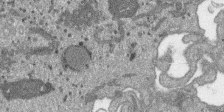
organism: Human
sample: Lung epithelial cells infected with SARS-CoV-2